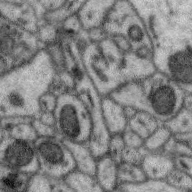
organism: Zebra finch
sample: Brain